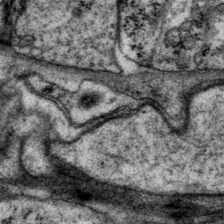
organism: P. pacificus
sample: Pharynx